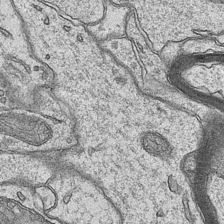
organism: Mouse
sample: CA1 Hippocampus